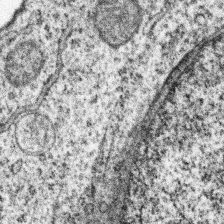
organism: Human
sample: HeLa cells